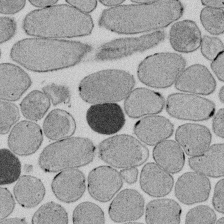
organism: E. coli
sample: Bacterial nucleoid